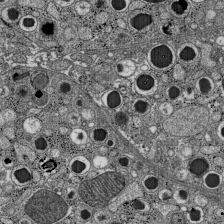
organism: C57BL Mouse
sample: Pancreatic islet